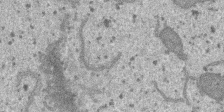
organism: Human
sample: Lung epithelial cells infected with SARS-CoV-2